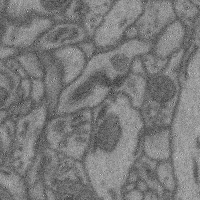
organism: Mouse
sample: Cerebral cortex